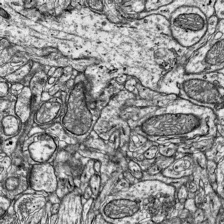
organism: Mouse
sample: Visual Cortex